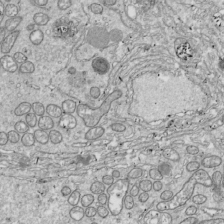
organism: Drosophila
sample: Cell division; meiosis; drosophila spermatocytes